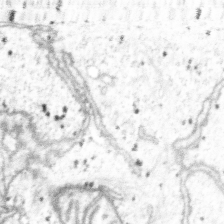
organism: Human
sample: HeLa cells